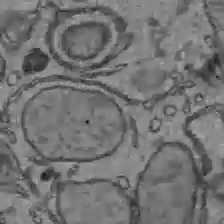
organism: C57BL Mouse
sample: Liver